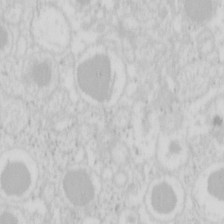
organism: Mouse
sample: Pancreas